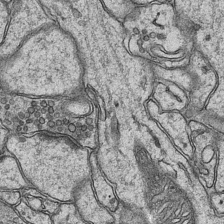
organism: Mouse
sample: CA1 Hippocampus